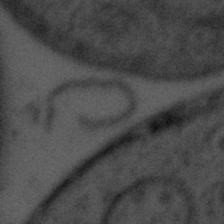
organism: Tuwongella immobilis